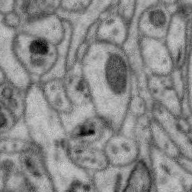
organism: Zebra finch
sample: Brain